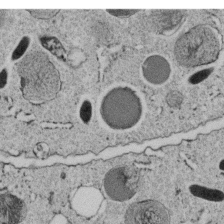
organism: C. elegans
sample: C. elegans embryo early stage